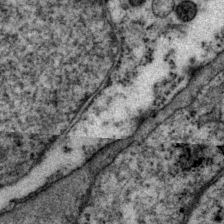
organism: P. pacificus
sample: Pharynx